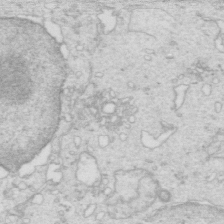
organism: Mouse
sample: Multiciliated cells